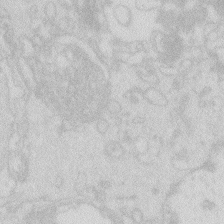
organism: Zebrafish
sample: Macrophage